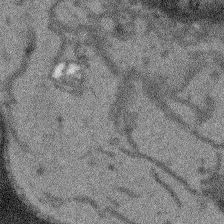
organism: Arabidopsis thaliana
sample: Root tip